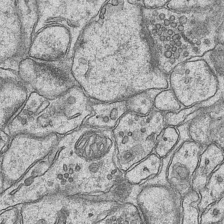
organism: Mouse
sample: CA1 Hippocampus